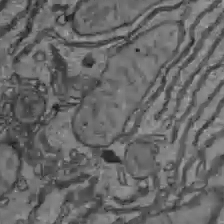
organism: C57BL Mouse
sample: Liver